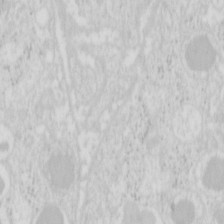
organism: Mouse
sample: Pancreas